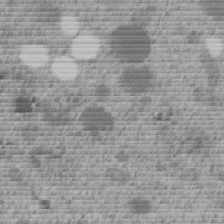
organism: C. elegans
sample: C. elegans embryo early stage